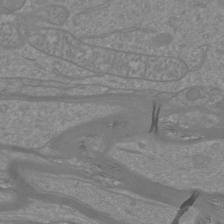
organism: Mouse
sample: Cortical neurons